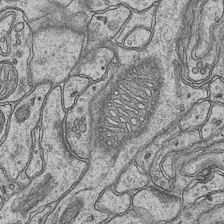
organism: Mouse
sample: CA1 Hippocampus